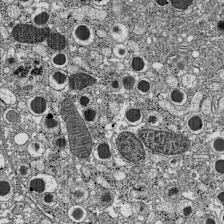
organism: C57BL Mouse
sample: Pancreatic islet